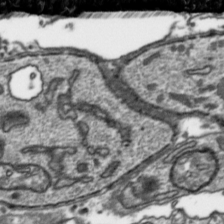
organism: Toxoplasma gondii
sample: Parasites in a vacuole inside a host cell